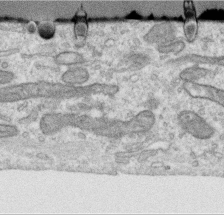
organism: Human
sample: Centriole in RPE cells